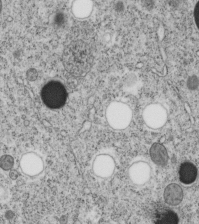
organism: C. elegans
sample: C. elegans embryo early stage